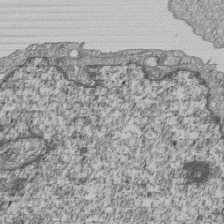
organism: Human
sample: MDA-MB-231 cells